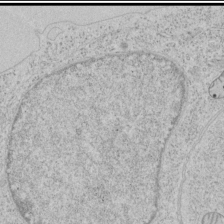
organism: Human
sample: Mitochondria in HCT116 cells